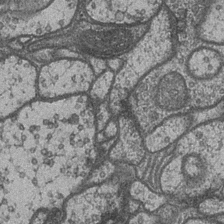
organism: Drosophila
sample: Optic medulla